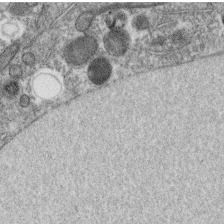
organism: C. elegans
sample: C. elegans oocyte; sperm cells